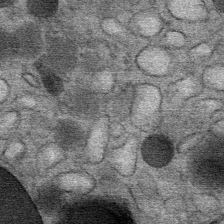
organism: Mouse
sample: Mouse Salivary gland